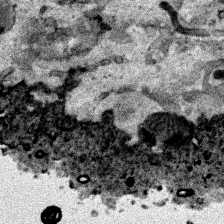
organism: Human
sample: Mitochondria in HCT116 cells